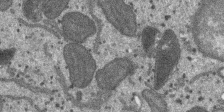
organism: Human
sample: Lung epithelial cells infected with SARS-CoV-2